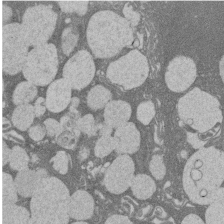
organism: Rat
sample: Salivary granule